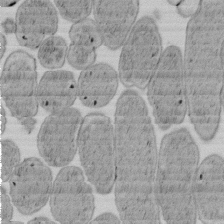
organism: E. coli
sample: Bacterial nucleoid